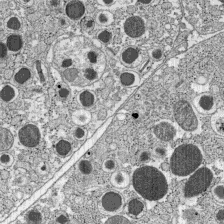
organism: C57BL Mouse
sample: Pancreatic islet